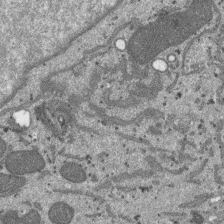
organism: Human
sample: Lung epithelial cells infected with SARS-CoV-2